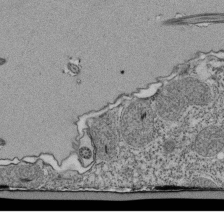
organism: Tetrahymena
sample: Cilia in tetrahymena